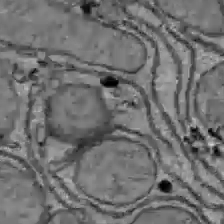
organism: C57BL Mouse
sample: Liver